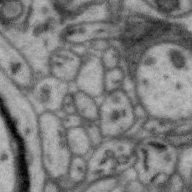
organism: Zebra finch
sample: Brain